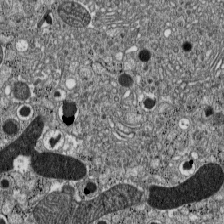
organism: C57BL Mouse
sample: Pancreatic islet